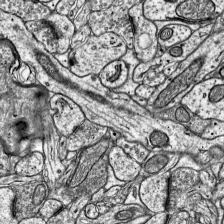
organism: Mouse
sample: Visual Cortex